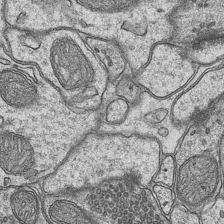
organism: Mouse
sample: CA1 Hippocampus